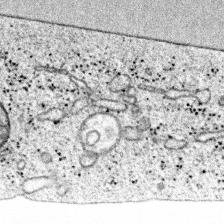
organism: Human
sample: HeLa cells